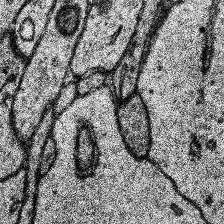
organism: Human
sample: Temporal Lobe